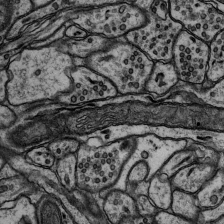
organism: Rat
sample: Hippocampus